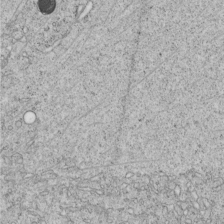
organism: C. elegans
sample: C. elegans embryo early stage